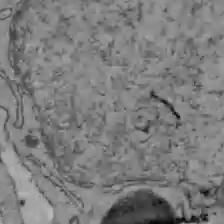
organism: C57BL Mouse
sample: Liver